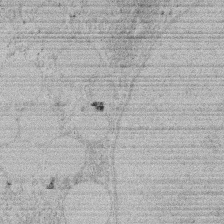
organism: Rat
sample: Salivary granule